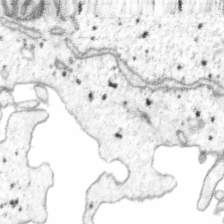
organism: Human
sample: HeLa cells